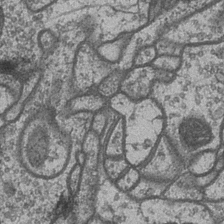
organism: Drosophila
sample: Optic medulla